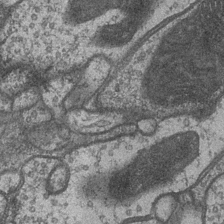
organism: Drosophila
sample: Optic medulla